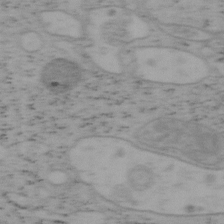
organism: Mouse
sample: OT-I killer T cells with ID8 ovarian cancer cells